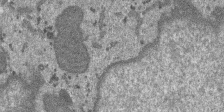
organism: Human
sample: Lung epithelial cells infected with SARS-CoV-2